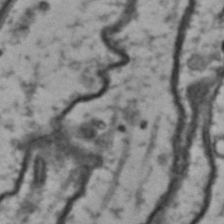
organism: Drosophila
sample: Brain